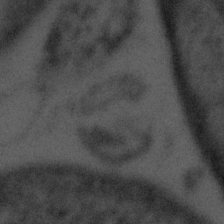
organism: Tuwongella immobilis